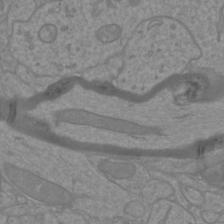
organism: Mouse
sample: Cortical neurons